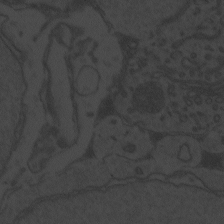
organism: Zebrafish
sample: Macrophage infected with Toxoplasma gondii